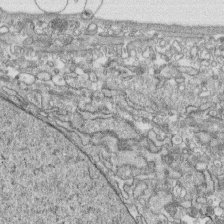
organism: Human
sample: CRL-1474